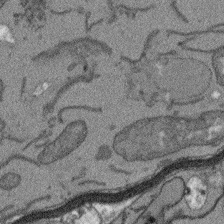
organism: Arabidopsis thaliana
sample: Root tip